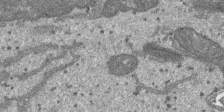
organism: Human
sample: Lung epithelial cells infected with SARS-CoV-2